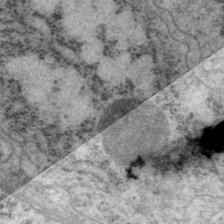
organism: P. pacificus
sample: Pharynx